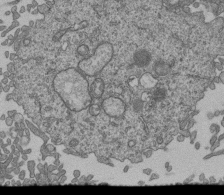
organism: Human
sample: Retinal organoid Rod and Cone cells